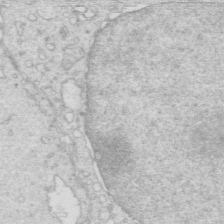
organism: Mouse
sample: Multiciliated cells